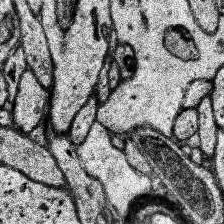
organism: Human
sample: Temporal Lobe